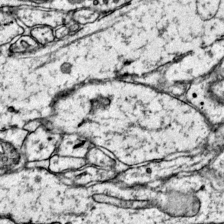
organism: Mouse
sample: Primary visual cortex